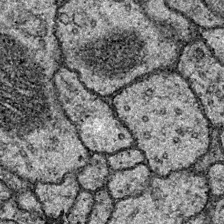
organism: Drosophila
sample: Ventral Nerve Cord